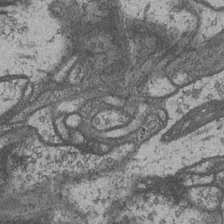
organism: Drosophila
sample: Optic medulla